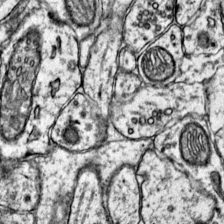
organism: Mouse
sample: Primary visual cortex